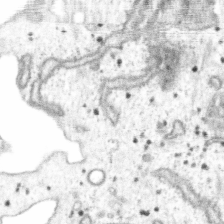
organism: Human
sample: HeLa cells